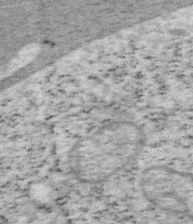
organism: Mouse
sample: OT-I killer T cells with ID8 ovarian cancer cells